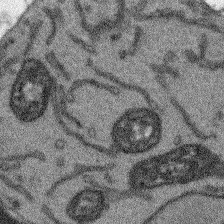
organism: Arabidopsis thaliana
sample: Root tip